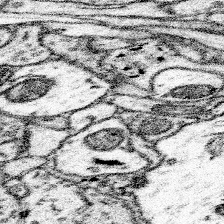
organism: Mouse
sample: Somatosensory cortex neuropil